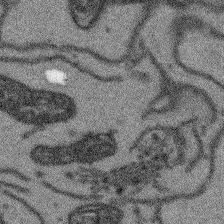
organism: Arabidopsis thaliana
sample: Root tip